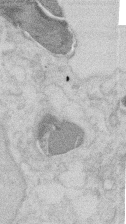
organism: Mouse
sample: T cell stromal cell synapse